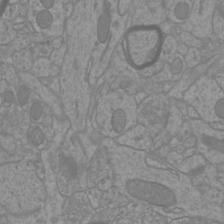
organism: Mouse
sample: Cortical neurons